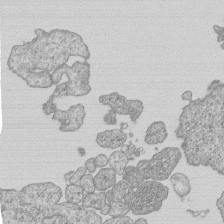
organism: Human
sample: MDA-MB-231 cells